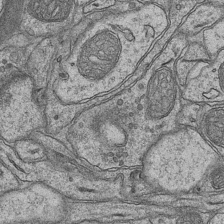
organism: Mouse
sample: CA1 Hippocampus